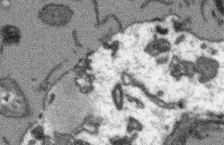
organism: Arabidopsis thaliana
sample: Root tip